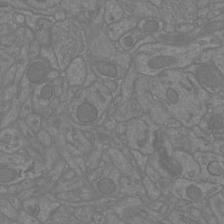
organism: Mouse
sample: Cortical neurons